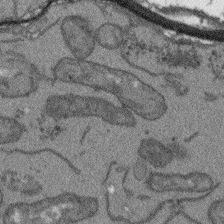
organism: Arabidopsis thaliana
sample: Root tip